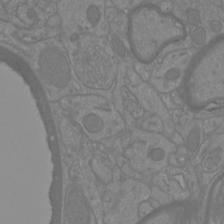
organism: Mouse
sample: Cortical neurons